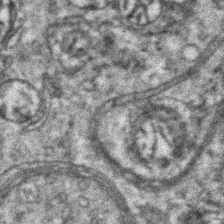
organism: Zebrafish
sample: Zebrafish embryo